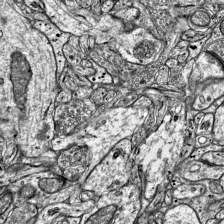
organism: Mouse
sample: Visual Cortex